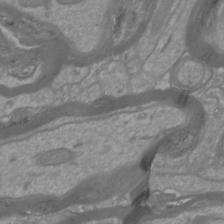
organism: Mouse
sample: Cortical neurons